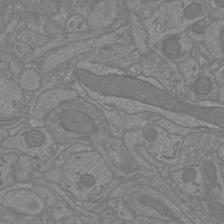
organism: Mouse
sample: Cortical neurons